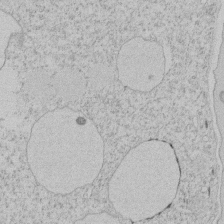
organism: Tetrahymena